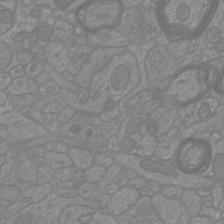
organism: Mouse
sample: Cortical neurons